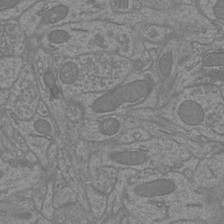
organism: Mouse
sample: Cortical neurons